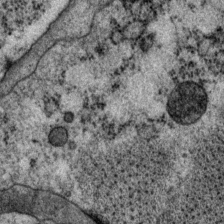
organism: P. pacificus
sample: Pharynx